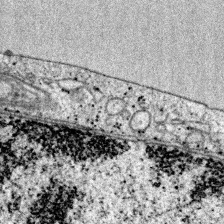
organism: Human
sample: HeLa cells